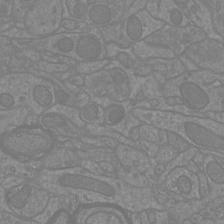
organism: Mouse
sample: Cortical neurons